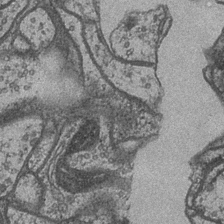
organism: Drosophila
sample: Optic medulla